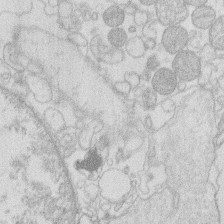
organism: Human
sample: Macrophage cells